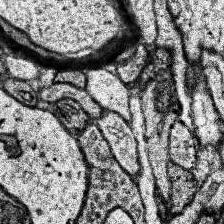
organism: Human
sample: Temporal Lobe